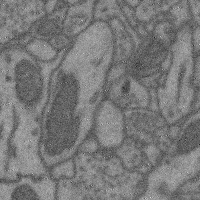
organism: Mouse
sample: Cerebral cortex